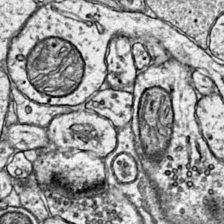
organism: Mouse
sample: Primary visual cortex